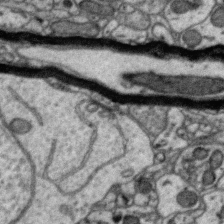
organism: Zebra finch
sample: Brain